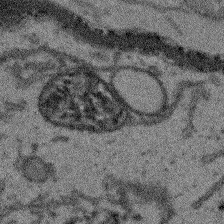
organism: Arabidopsis thaliana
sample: Root tip